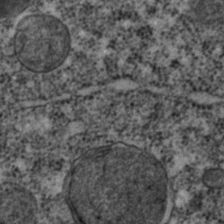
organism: C. elegans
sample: C. elegans embryo